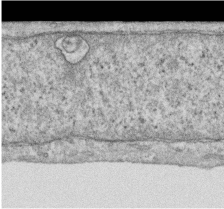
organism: Human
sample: Centriole in RPE cells